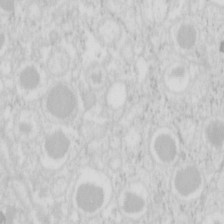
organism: Mouse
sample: Pancreas